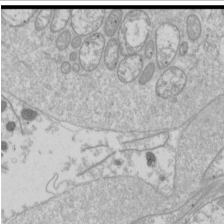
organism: Drosophila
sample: Cell division; meiosis; drosophila spermatocytes